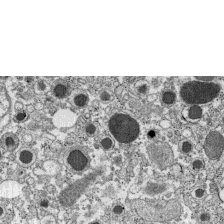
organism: C57BL Mouse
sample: Pancreatic islet